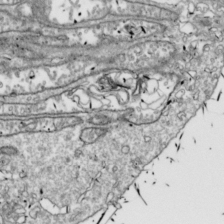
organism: Drosophila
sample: Cell division; meiosis; drosophila spermatocytes